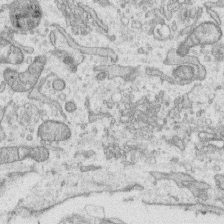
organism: Human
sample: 1205lu cells